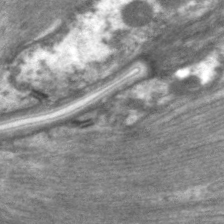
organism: C. elegans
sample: Pharynx